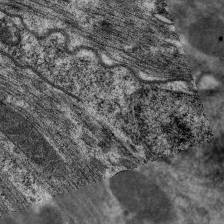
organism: C. elegans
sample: Pharynx